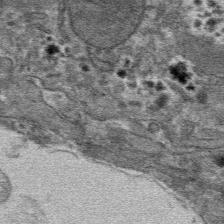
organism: Mouse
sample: Mouse hepatocytes